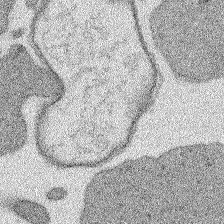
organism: Human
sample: HeLa cells